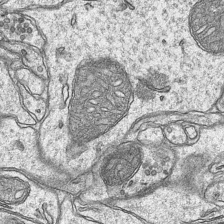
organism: Mouse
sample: CA1 Hippocampus